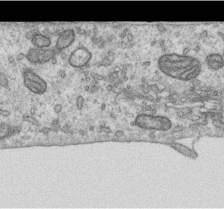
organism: Human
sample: Centriole in RPE cells